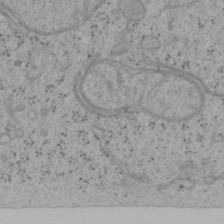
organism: Human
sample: HeLa cells